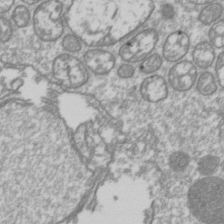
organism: Drosophila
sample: Cell division; meiosis; drosophila spermatocytes